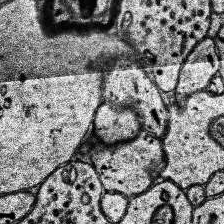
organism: Human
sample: Temporal Lobe